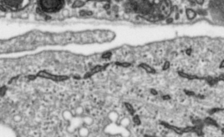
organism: Toxoplasma gondii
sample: Parasites in a vacuole inside a host cell